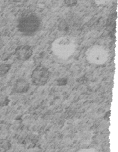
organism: C. elegans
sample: C. elegans embryo early stage